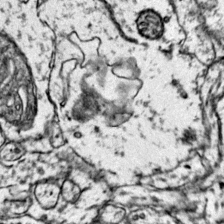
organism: Mouse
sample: Primary visual cortex